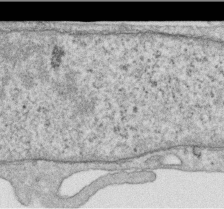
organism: Human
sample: Centriole in RPE cells